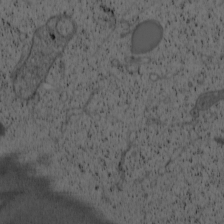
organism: African green monkey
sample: COS-7 cells